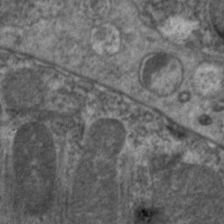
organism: C. elegans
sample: Pharynx